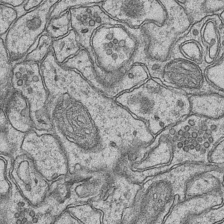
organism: Mouse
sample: CA1 Hippocampus